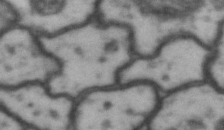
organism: Drosophila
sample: Brain